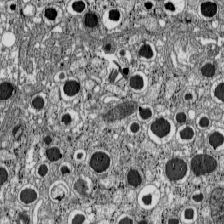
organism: C57BL Mouse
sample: Pancreatic islet